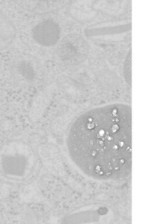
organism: Mouse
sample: Pancreas